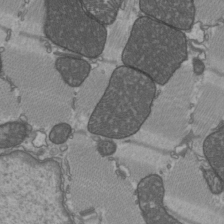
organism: C57BL Mouse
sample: Heart